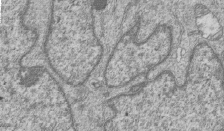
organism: Human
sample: MDA-MB-231 cells